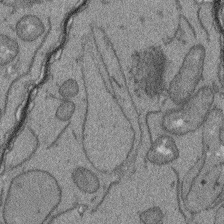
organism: Arabidopsis thaliana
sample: Root tip